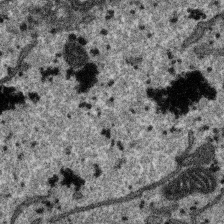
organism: Human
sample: Lung epithelial cells infected with SARS-CoV-2